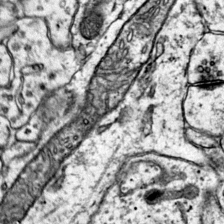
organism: Mouse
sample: Primary visual cortex